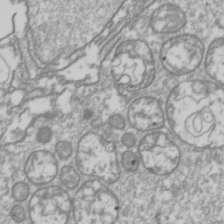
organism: Drosophila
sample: Cell division; meiosis; drosophila spermatocytes